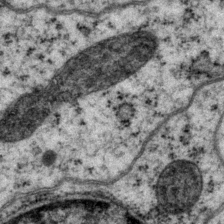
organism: P. pacificus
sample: Pharynx